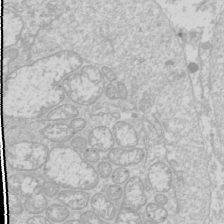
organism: Drosophila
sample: Cell division; meiosis; drosophila spermatocytes